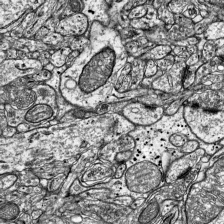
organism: Mouse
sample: Visual Cortex